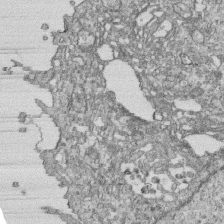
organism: Human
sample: HeLa cell HIV synapse